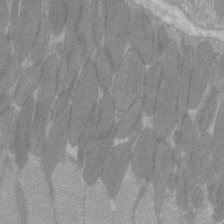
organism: C57BL Mouse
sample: Tibialis anterior muscle cell